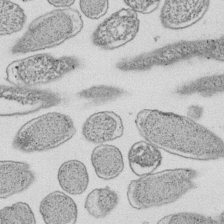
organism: E. coli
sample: Bacterial nucleoid